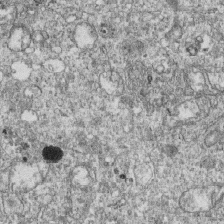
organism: Human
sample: HeLa cell HIV synapse